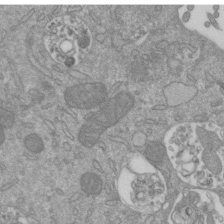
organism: Mouse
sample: ED-1 cell nuclei; centrioles